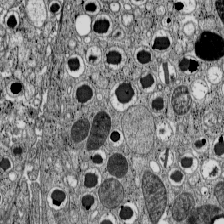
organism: C57BL Mouse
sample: Pancreatic islet